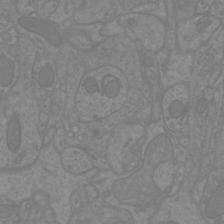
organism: Mouse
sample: Cortical neurons